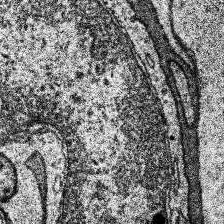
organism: Human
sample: Temporal Lobe